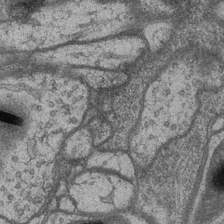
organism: Drosophila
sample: Optic medulla